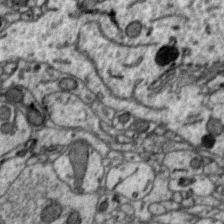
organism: Zebra finch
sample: Brain